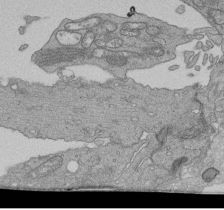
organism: Human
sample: Retinal organoid Rod and Cone cells